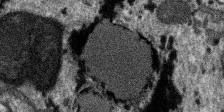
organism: Human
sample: Lung epithelial cells infected with SARS-CoV-2